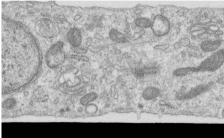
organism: Human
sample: Centriole in RPE cells